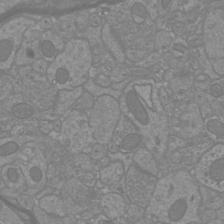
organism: Mouse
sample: Cortical neurons